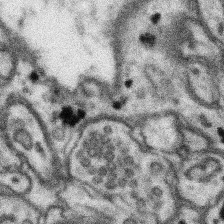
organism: Mouse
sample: Somatosensory cortex neuropil